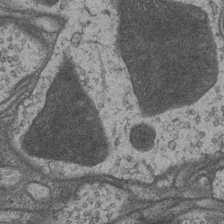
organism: Drosophila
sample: Optic medulla